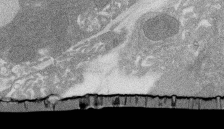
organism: Rat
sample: Salivary granule